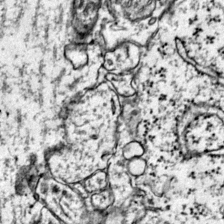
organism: Mouse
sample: Primary visual cortex